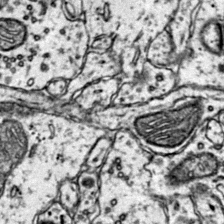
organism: Mouse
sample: Primary visual cortex